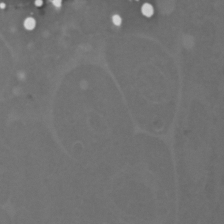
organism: C. elegans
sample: C. elegans embryo